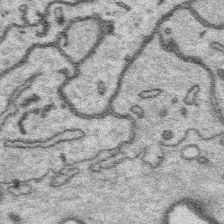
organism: Platynereis dumerilii